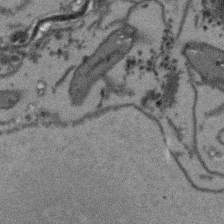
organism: Arabidopsis thaliana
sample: Root tip